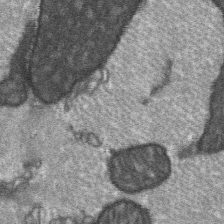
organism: C57BL Mouse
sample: Soleus